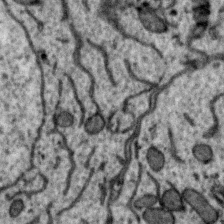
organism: Zebra finch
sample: Brain